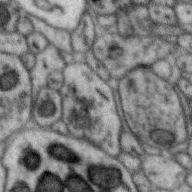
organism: Zebra finch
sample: Brain